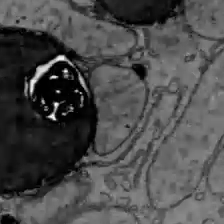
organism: C57BL Mouse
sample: Liver